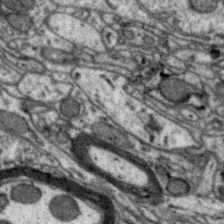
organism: Zebra finch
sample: Brain